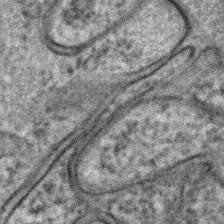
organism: C. elegans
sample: C. elegans embryo